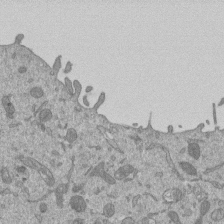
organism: Mouse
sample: ED-1 cell nuclei; centrioles